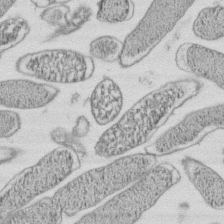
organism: E. coli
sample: Bacterial nucleoid